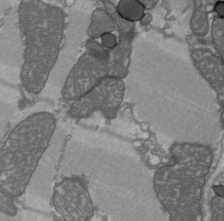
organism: C57BL Mouse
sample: Heart